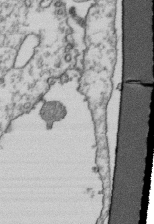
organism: Human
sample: Activated Jurkat CD4+ T cells